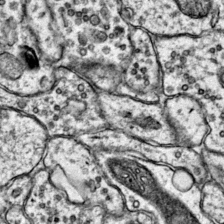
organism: Mouse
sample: Primary visual cortex